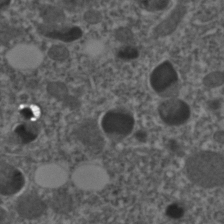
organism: C. elegans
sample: C. elegans embryo